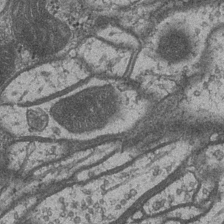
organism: Drosophila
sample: Optic medulla